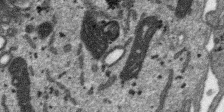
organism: Human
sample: Lung epithelial cells infected with SARS-CoV-2